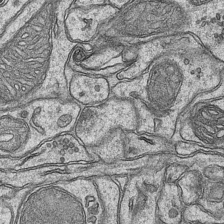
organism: Mouse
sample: CA1 Hippocampus